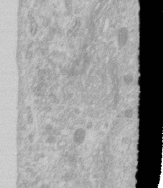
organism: Human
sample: Centriole in RPE cells